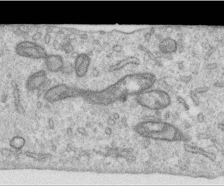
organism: Human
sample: Centriole in RPE cells